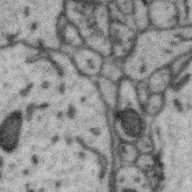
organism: Zebra finch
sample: Brain